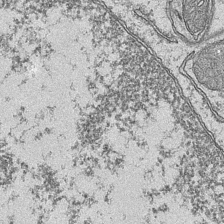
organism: Mouse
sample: CA1 Hippocampus